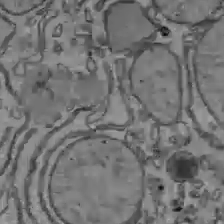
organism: C57BL Mouse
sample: Liver